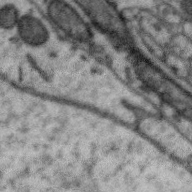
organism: Zebra finch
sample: Brain